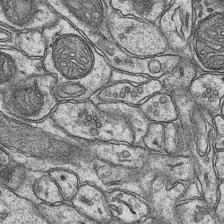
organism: Mouse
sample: CA1 Hippocampus